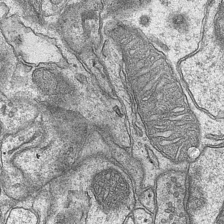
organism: Mouse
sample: CA1 Hippocampus